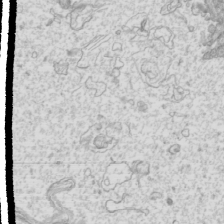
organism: Mouse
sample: Cilia; mouse epididymis